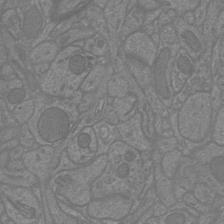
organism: Mouse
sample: Cortical neurons